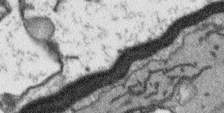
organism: Arabidopsis thaliana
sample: Root tip